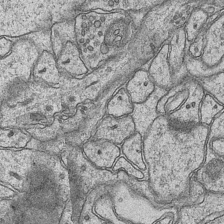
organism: Mouse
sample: CA1 Hippocampus